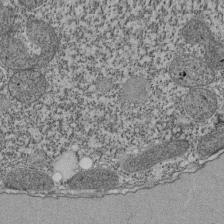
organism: Tetrahymena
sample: Cilia in tetrahymena